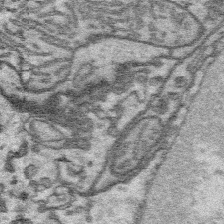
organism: Platynereis dumerilii